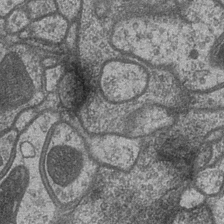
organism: Drosophila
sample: Optic medulla